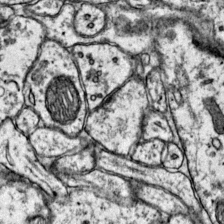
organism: Mouse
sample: Primary visual cortex